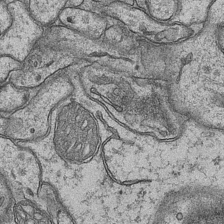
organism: Mouse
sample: CA1 Hippocampus